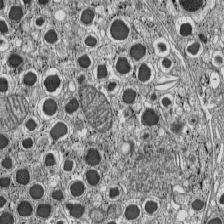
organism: C57BL Mouse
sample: Pancreatic islet